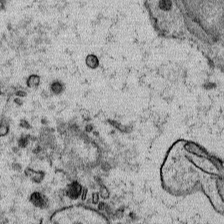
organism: Mouse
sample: Mouse Salivary gland